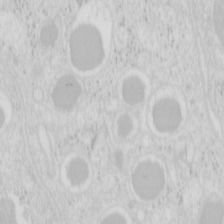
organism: Mouse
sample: Pancreas